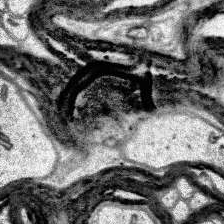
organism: Human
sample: Temporal Lobe